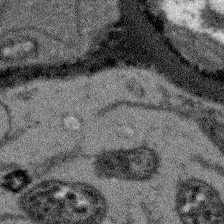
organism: Arabidopsis thaliana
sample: Root tip